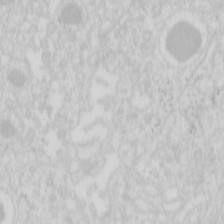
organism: Mouse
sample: Pancreas